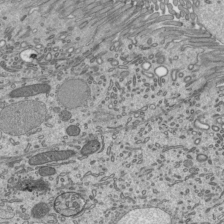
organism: Mouse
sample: Mouse epididymis efferent ductule cilia